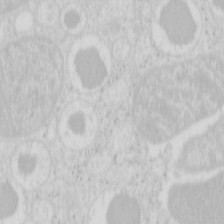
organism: Mouse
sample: Pancreas